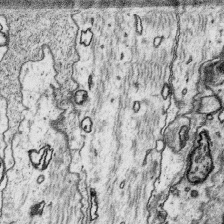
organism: Platynereis dumerilii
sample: Parapodia